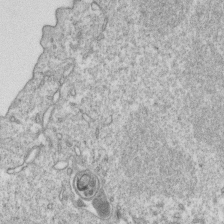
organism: Mouse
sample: Activated OT-1 CD8+ T cells